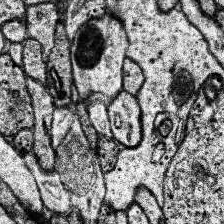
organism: Human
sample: Temporal Lobe